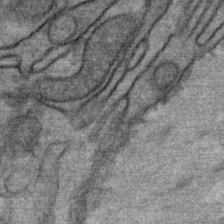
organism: Mouse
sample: Mouse Salivary gland